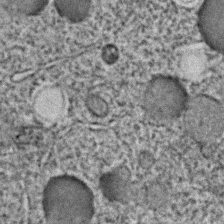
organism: C. elegans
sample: C. elegans embryo